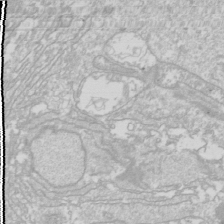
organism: Drosophila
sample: Cell division; meiosis; drosophila spermatocytes